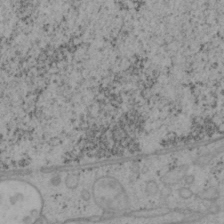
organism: Human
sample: HeLa cells